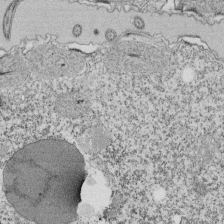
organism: Tetrahymena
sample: Cilia in tetrahymena